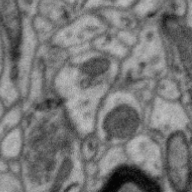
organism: Zebra finch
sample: Brain